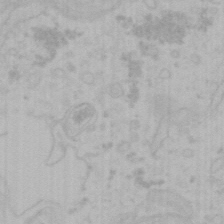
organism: Mouse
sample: Choroid plexus